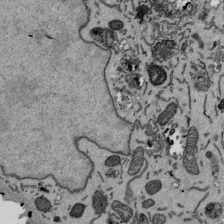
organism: Mouse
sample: ED-1 cell nuclei; centrioles